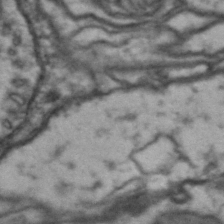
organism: Drosophila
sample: Brain